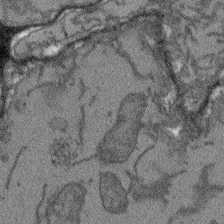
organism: Arabidopsis thaliana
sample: Root tip